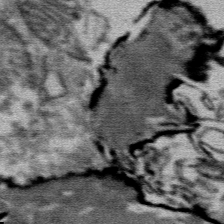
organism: Mouse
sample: Mouse Salivary gland